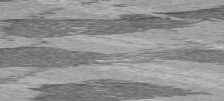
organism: C57BL Mouse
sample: Heart